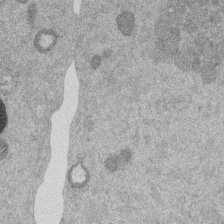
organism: Mouse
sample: Dividing mouse embryo 1 cell stage